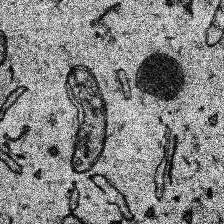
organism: Human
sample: Temporal Lobe